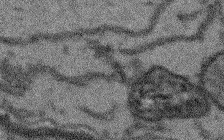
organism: Arabidopsis thaliana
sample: Root tip